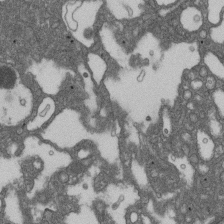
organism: Drosophila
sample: Nephrocyte